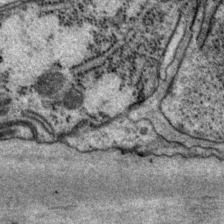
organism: P. pacificus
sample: Pharynx